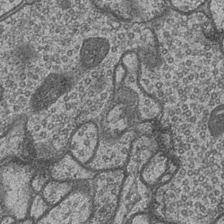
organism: Drosophila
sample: Optic medulla